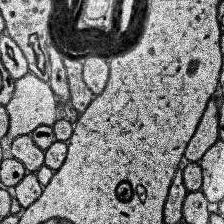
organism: Human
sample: Temporal Lobe